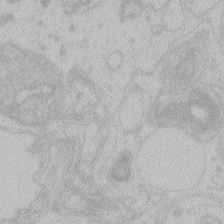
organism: Zebrafish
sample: Macrophage infected with Toxoplasma gondii